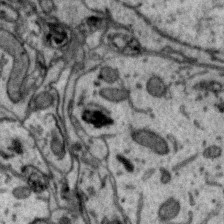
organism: Zebra finch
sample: Brain